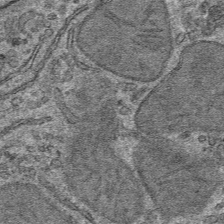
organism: Mouse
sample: Mouse hepatocytes